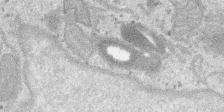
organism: Human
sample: Lung epithelial cells infected with SARS-CoV-2